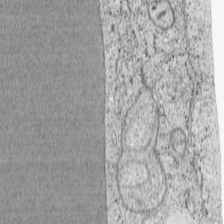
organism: African green monkey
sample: COS-7 cells